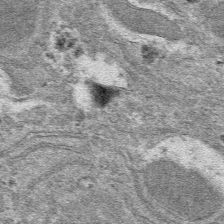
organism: Mouse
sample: Mouse hepatocytes